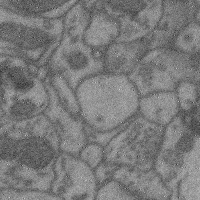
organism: Mouse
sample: Cerebral cortex